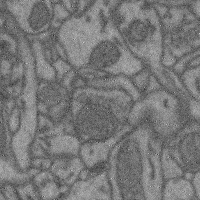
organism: Mouse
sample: Cerebral cortex